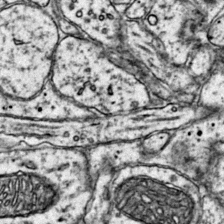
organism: Mouse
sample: Primary visual cortex